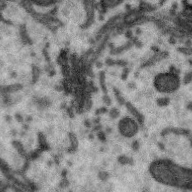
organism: Zebra finch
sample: Brain